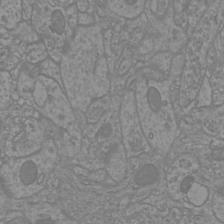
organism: Mouse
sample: Cortical neurons